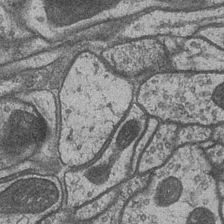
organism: Drosophila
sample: Optic medulla